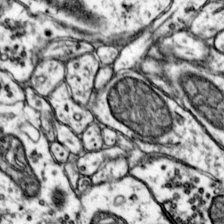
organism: Mouse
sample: Primary visual cortex